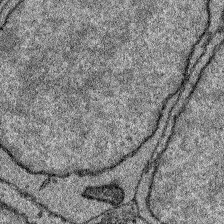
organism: Zebrafish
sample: Larval olfactory bulb